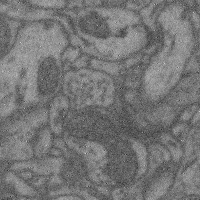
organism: Mouse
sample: Cerebral cortex